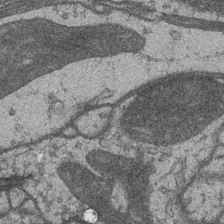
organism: Drosophila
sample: Optic medulla